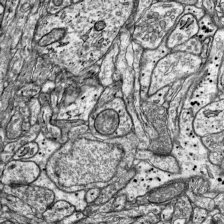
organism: Mouse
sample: Visual Cortex